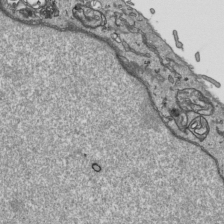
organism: Human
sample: Mitochondria in HCT116 cells